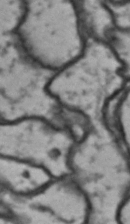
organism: Drosophila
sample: Brain